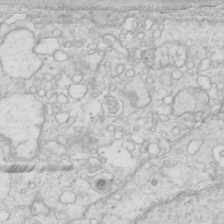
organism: Mouse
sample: Multiciliated cells